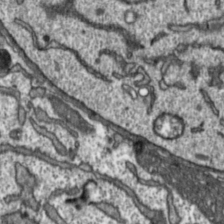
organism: Toxoplasma gondii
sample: Parasites in a vacuole inside a host cell